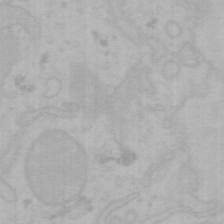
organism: Mouse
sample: Choroid plexus